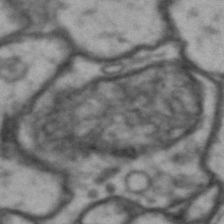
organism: Drosophila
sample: Brain